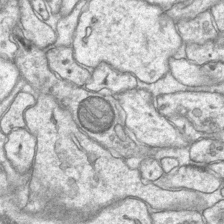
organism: Mouse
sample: CA1 Hippocampus